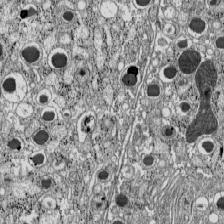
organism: C57BL Mouse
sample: Pancreatic islet